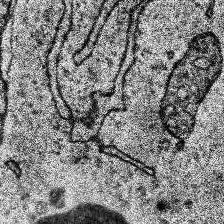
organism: Human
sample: Temporal Lobe